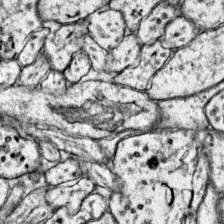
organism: Mouse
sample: Primary visual cortex